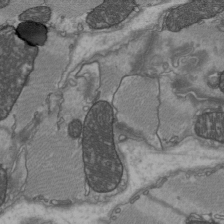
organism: C57BL Mouse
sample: Heart